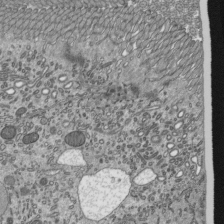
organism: Mouse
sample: Mouse epididymis efferent ductule cilia